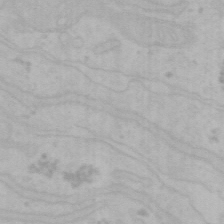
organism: Mouse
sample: Choroid plexus